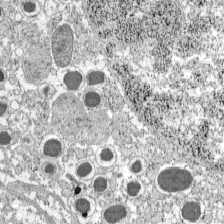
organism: C57BL Mouse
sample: Pancreatic islet